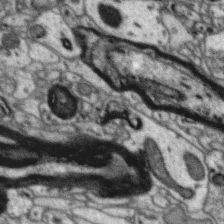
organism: Zebra finch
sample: Brain